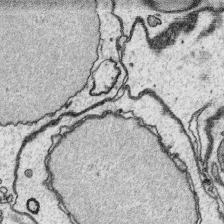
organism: Platynereis dumerilii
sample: Parapodia